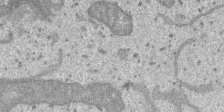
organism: Human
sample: Lung epithelial cells infected with SARS-CoV-2